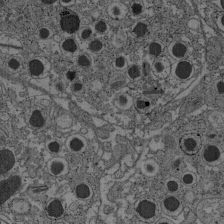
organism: C57BL Mouse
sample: Pancreatic islet